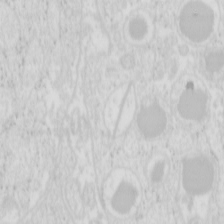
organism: Mouse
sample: Pancreas